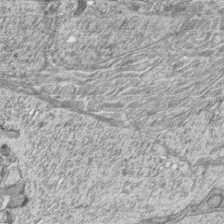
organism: Zebrafish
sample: synaptic ribbons in rod cells and cone cells